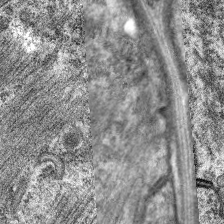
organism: C. elegans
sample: Pharynx